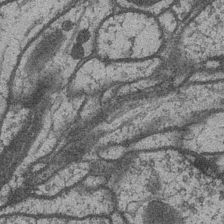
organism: Drosophila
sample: Optic medulla